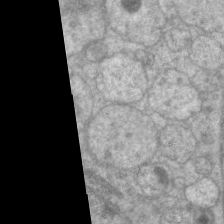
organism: C. elegans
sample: Pharynx